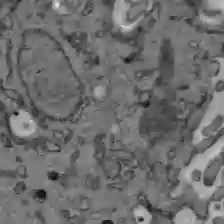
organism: C57BL Mouse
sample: Liver